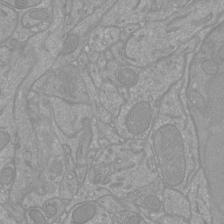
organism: Mouse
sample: Cortical neurons